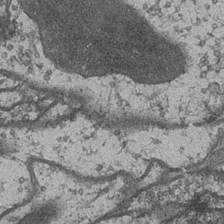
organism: Drosophila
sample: Optic medulla